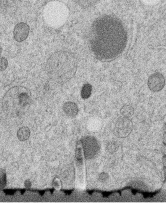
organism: C. elegans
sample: C. elegans embryo early stage